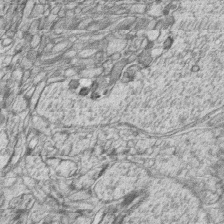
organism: Zebrafish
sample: synaptic ribbons in rod cells and cone cells